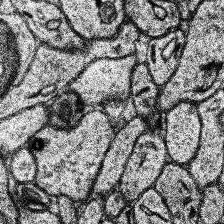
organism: Human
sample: Temporal Lobe